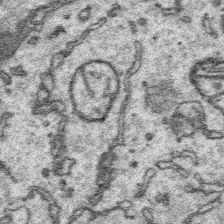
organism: Platynereis dumerilii